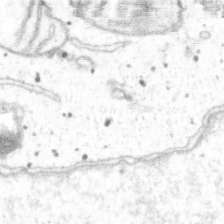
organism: Human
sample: HeLa cells